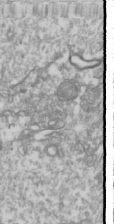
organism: Drosophila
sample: Cell division; meiosis; drosophila spermatocytes